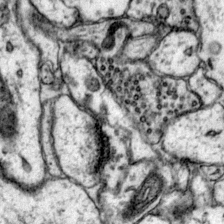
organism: Mouse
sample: Primary visual cortex